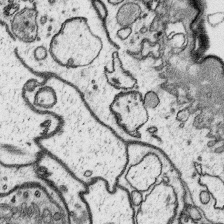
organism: Platynereis dumerilii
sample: Parapodia